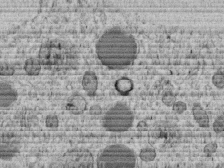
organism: C. elegans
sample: C. elegans embryo early stage